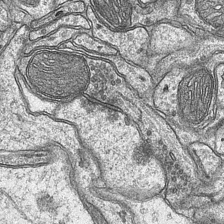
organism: Mouse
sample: CA1 Hippocampus